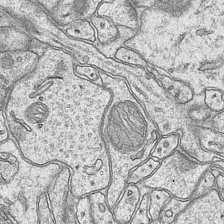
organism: Mouse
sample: CA1 Hippocampus